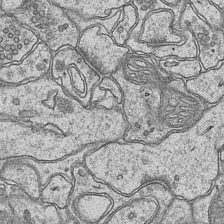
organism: Mouse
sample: CA1 Hippocampus